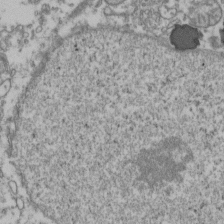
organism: Human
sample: Activated Jurkat CD4+ T cells